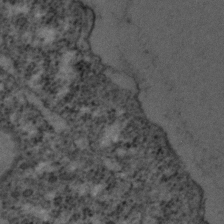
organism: C. elegans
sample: C. elegans embryo